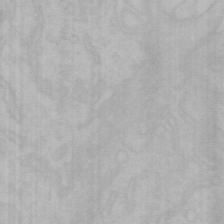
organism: Mouse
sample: Choroid plexus